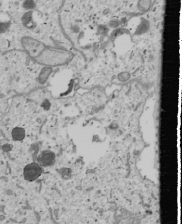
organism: Human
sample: Mitochondria in U2OS cells